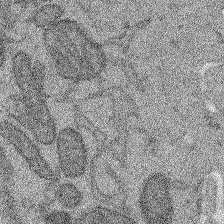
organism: Human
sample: HeLa cells